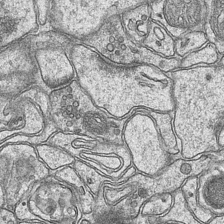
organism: Mouse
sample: CA1 Hippocampus